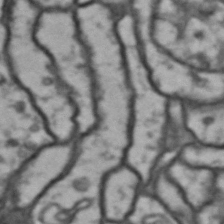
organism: Drosophila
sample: Brain